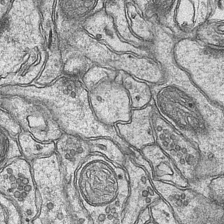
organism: Mouse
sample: CA1 Hippocampus